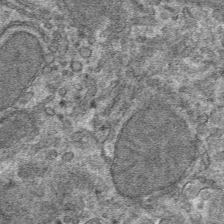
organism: Mouse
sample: Mouse hepatocytes